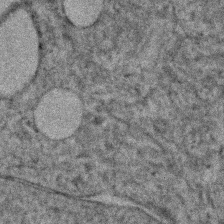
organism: Human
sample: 1205lu cells